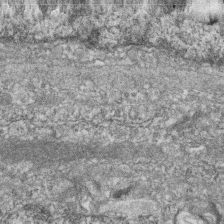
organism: Zebrafish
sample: Cilia; retinal pigment epithelium